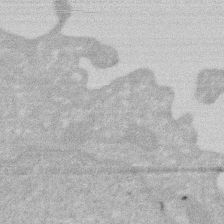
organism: Human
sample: HIV infected U937 cells